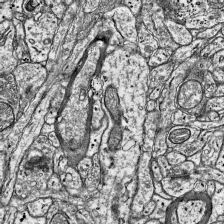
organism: Mouse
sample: Visual Cortex